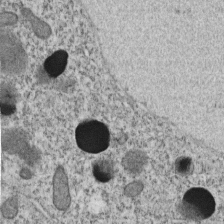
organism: C. elegans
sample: C. elegans embryo early stage